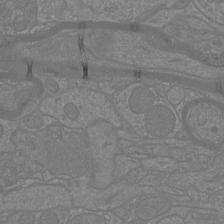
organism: Mouse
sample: Cortical neurons